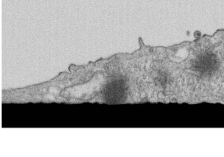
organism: Human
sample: HeLa cell HIV synapse